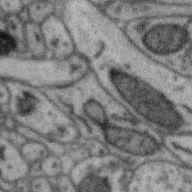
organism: Zebra finch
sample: Brain